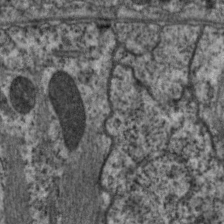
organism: C. elegans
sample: Pharynx